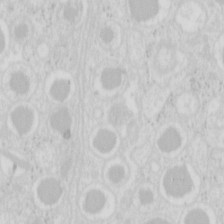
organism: Mouse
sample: Pancreas